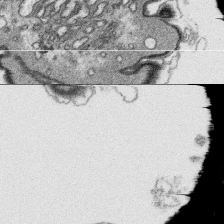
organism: Platynereis dumerilii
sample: Parapodia